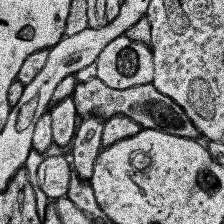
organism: Human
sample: Temporal Lobe